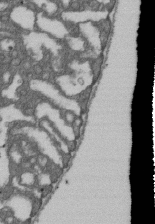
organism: Drosophila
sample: Nephrocyte